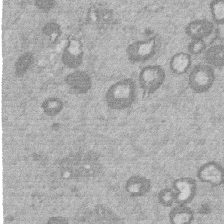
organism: Mouse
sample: Dividing mouse embryo 1 cell stage